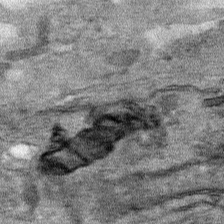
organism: Human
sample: Mitochondria in HCT116 cells